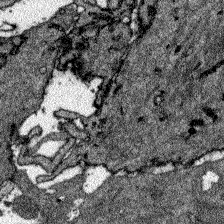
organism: Zebrafish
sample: Larval olfactory bulb